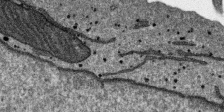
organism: Human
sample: Lung epithelial cells, uninfected (mock) control